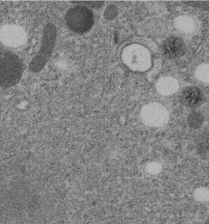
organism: C. elegans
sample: C. elegans embryo early stage